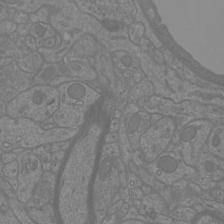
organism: Mouse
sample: Cortical neurons